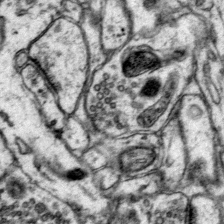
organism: Mouse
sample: Primary visual cortex